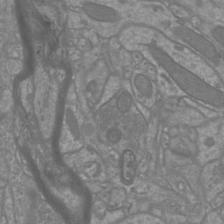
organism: Mouse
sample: Cortical neurons